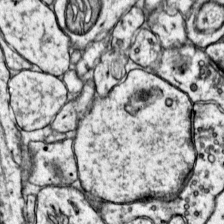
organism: Mouse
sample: Primary visual cortex